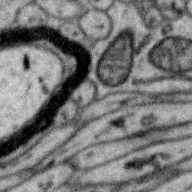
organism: Zebra finch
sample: Brain